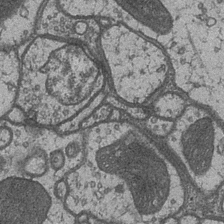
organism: Drosophila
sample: Optic medulla